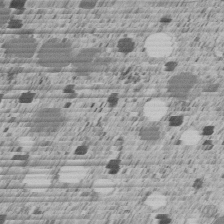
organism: C. elegans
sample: C. elegans embryo early stage